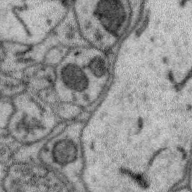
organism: Zebra finch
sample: Brain